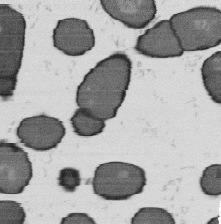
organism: B. subtilis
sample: Bacterial spore